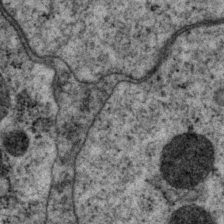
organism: P. pacificus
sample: Pharynx